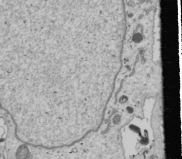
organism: Human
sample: Mitochondria in U2OS cells